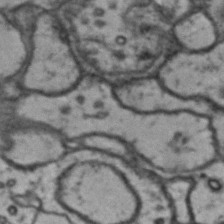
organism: Drosophila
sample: Brain